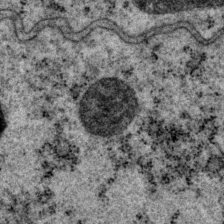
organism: P. pacificus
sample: Pharynx